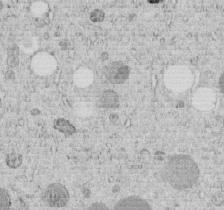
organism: C. elegans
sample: C. elegans embryo early stage